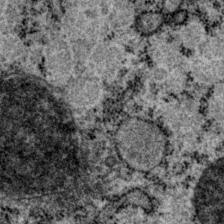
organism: P. pacificus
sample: Pharynx